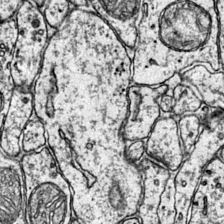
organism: Mouse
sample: Primary visual cortex